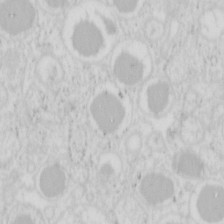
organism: Mouse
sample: Pancreas